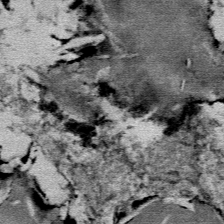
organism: Mouse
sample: Mouse Salivary gland